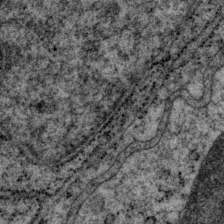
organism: P. pacificus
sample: Pharynx